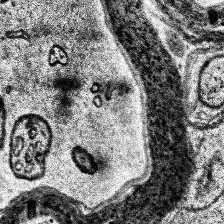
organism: Human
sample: Temporal Lobe